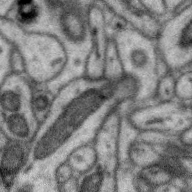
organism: Zebra finch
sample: Brain